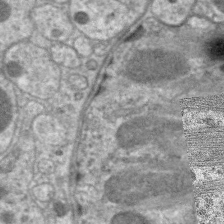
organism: C. elegans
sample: Pharynx